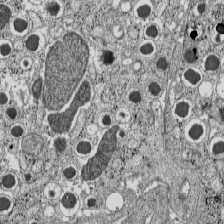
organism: C57BL Mouse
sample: Pancreatic islet